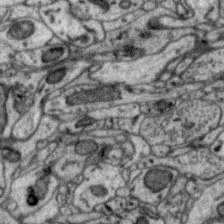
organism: Zebra finch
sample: Brain